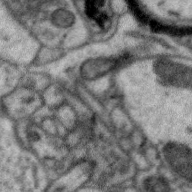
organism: Zebra finch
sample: Brain